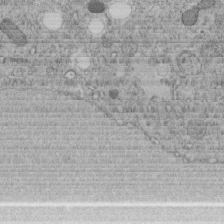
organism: C. elegans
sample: C. elegans embryo early stage